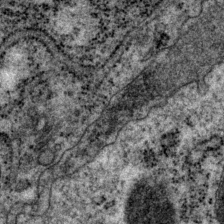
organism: P. pacificus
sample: Pharynx